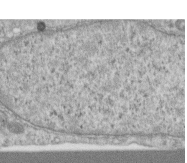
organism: Human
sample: Centriole in RPE cells